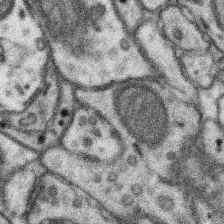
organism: Mouse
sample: Somatosensory cortex neuropil